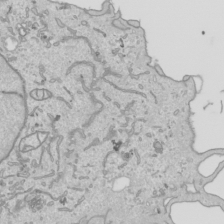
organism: Human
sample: Mitochondria in HCT116 cells